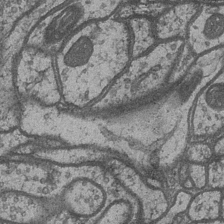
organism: Drosophila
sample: Optic medulla